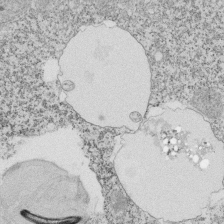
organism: Tetrahymena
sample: Cilia in tetrahymena